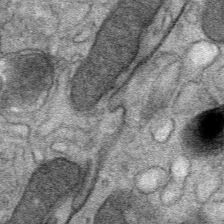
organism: Mouse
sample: Mouse Salivary gland